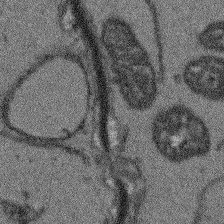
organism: Arabidopsis thaliana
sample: Root tip